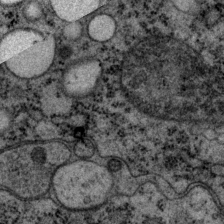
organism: P. pacificus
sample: Pharynx